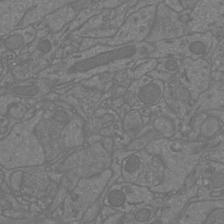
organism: Mouse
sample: Cortical neurons